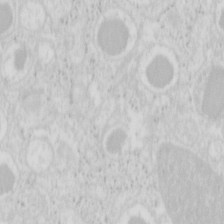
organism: Mouse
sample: Pancreas